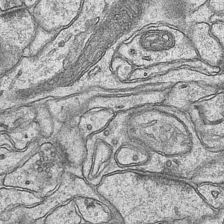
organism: Mouse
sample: CA1 Hippocampus